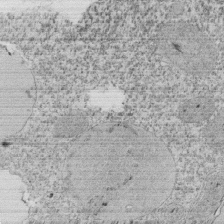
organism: Tetrahymena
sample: Cilia in tetrahymena